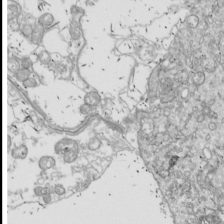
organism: Drosophila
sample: Cell division; meiosis; drosophila spermatocytes